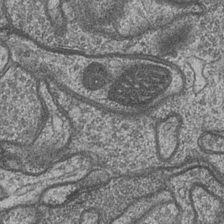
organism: Drosophila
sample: Optic medulla